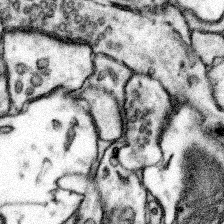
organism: Mouse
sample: Somatosensory cortex neuropil